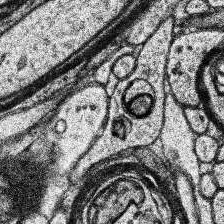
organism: Human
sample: Temporal Lobe